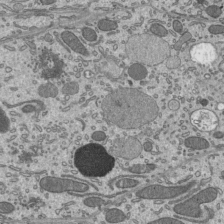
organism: Mouse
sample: Mouse epididymis efferent ductule cilia